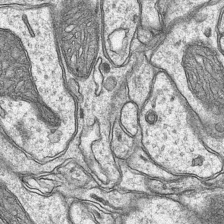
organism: Mouse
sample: CA1 Hippocampus